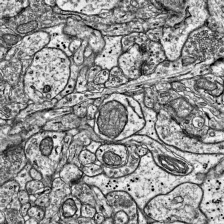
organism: Mouse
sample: Visual Cortex